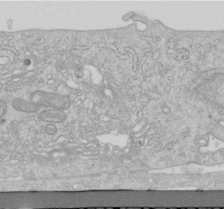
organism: Human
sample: Centriole in RPE cells